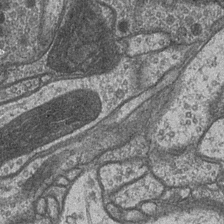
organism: Drosophila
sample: Optic medulla